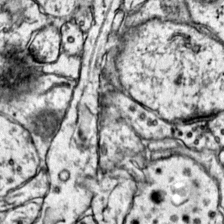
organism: Mouse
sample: Primary visual cortex